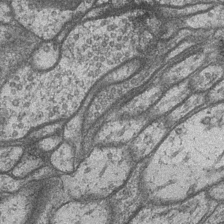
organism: Drosophila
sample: Optic medulla